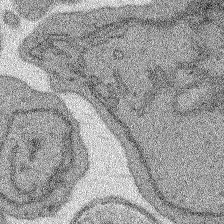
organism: Human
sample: HeLa cells